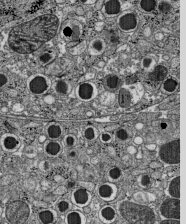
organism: C57BL Mouse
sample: Pancreatic islet